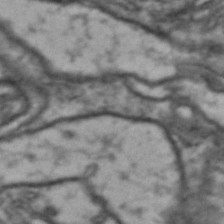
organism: Drosophila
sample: Brain